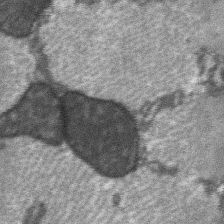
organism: C57BL Mouse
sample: Soleus